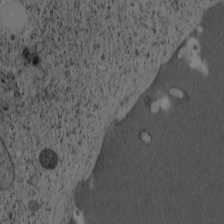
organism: African green monkey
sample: COS-7 cells